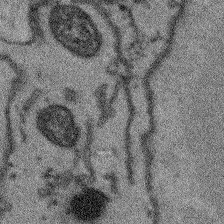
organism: Arabidopsis thaliana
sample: Root tip